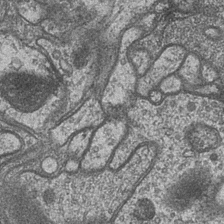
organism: Drosophila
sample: Optic medulla